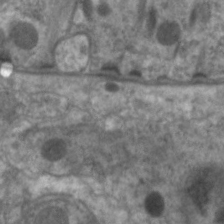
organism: C. elegans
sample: Pharynx